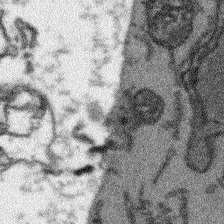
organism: Arabidopsis thaliana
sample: Root tip